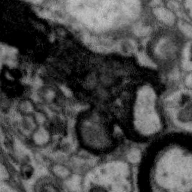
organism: Zebra finch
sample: Brain